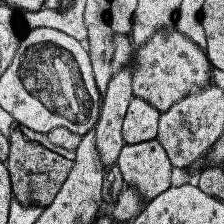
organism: Human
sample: Temporal Lobe